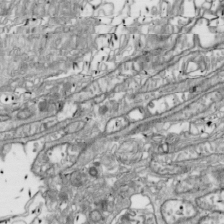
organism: Drosophila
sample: Cell division; meiosis; drosophila spermatocytes